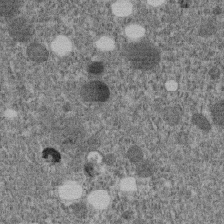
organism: C. elegans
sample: C. elegans embryo early stage